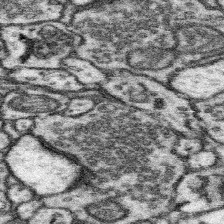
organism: Mouse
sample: Somatosensory cortex neuropil